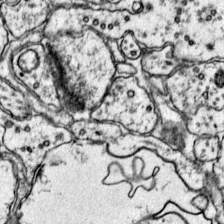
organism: Mouse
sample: Primary visual cortex